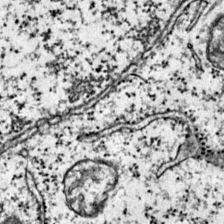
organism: Mouse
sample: Primary visual cortex